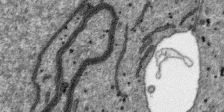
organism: Human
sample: Lung epithelial cells, uninfected (mock) control